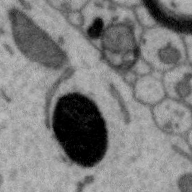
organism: Zebra finch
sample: Brain